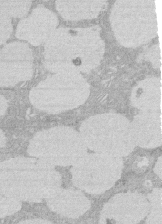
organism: Rat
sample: Salivary granule